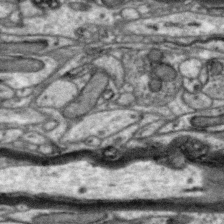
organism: Zebra finch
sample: Brain